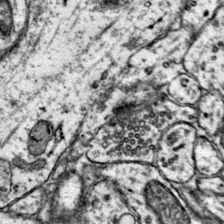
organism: Mouse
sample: Primary visual cortex